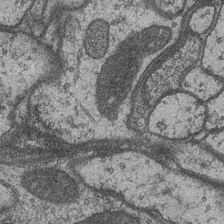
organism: Drosophila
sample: Optic medulla